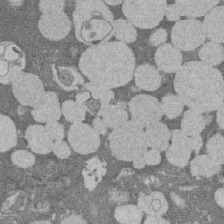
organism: Rat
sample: Salivary granule